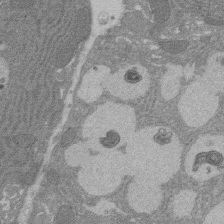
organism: Rat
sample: Salivary granule